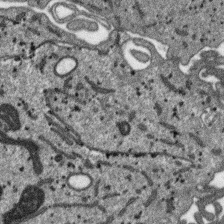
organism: Human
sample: Lung epithelial cells infected with SARS-CoV-2